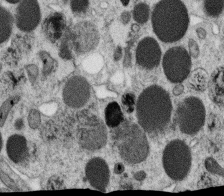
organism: C. elegans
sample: C. elegans oocyte; sperm cells